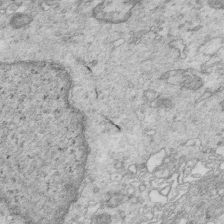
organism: Mouse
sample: Multiciliated cells